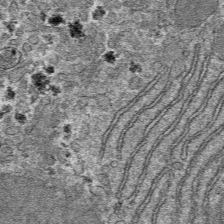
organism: Mouse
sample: Mouse hepatocytes